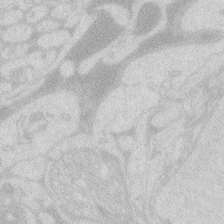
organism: Zebrafish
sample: Macrophage